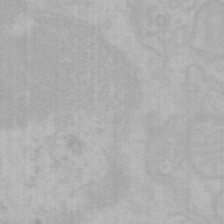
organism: Mouse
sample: Choroid plexus